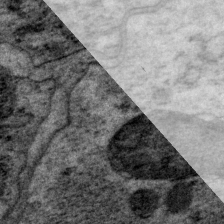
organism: P. pacificus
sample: Pharynx